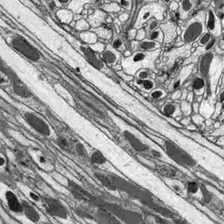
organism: Drosophila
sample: Optic lobe